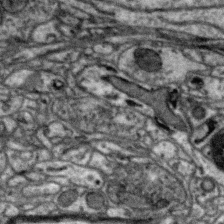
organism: Zebra finch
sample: Brain